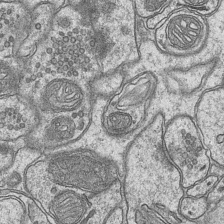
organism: Mouse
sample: CA1 Hippocampus